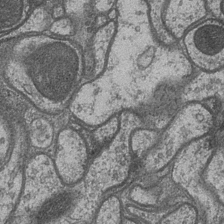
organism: Drosophila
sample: Optic medulla